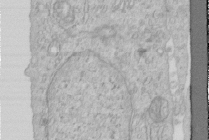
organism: Human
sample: Centriole in RPE cells